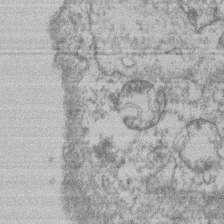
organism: Mouse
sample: T cell stromal cell synapse